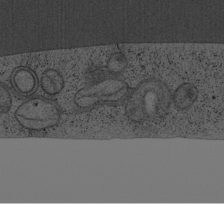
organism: African green monkey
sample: COS-7 cells